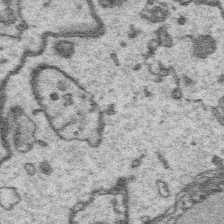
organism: Platynereis dumerilii